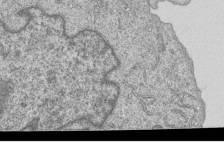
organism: Human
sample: MDA-MB-231 cells